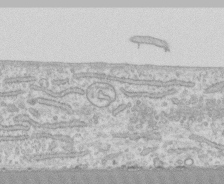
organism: Human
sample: CRL-1474